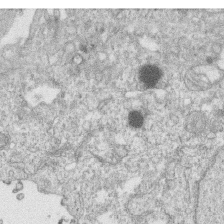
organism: Human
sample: HeLa cell HIV synapse